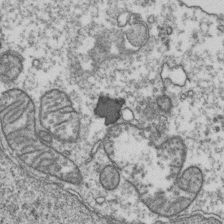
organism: Human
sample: Activated Jurkat CD4+ T cells